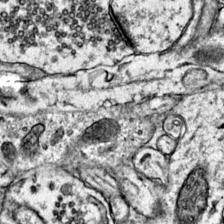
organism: Mouse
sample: Primary visual cortex